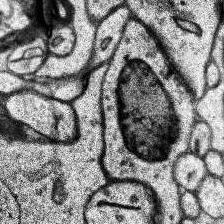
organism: Human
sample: Temporal Lobe